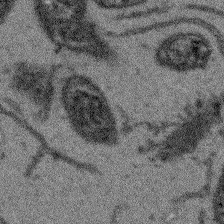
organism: Arabidopsis thaliana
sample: Root tip